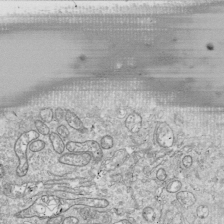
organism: Drosophila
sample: Cell division; meiosis; drosophila spermatocytes